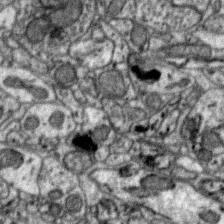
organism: Zebra finch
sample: Brain